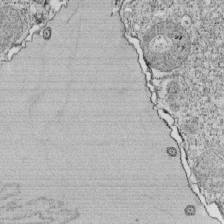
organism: Tetrahymena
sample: Cilia in tetrahymena